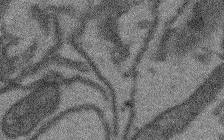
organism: Arabidopsis thaliana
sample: Root tip